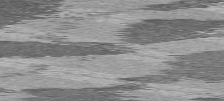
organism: C57BL Mouse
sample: Heart